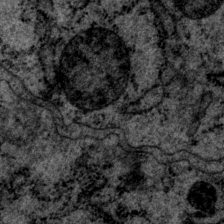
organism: P. pacificus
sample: Pharynx